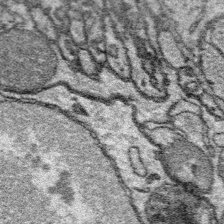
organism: Platynereis dumerilii